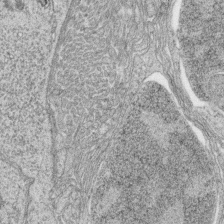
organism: Zebrafish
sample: synaptic ribbons in rod cells and cone cells